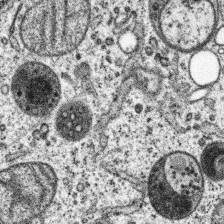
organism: Human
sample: HeLa cells